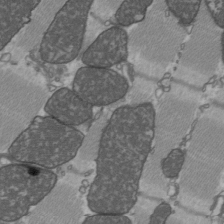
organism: C57BL Mouse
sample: Heart